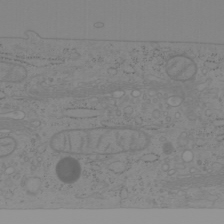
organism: Human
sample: HeLa cells